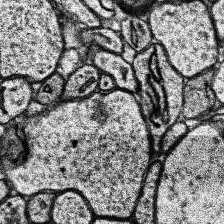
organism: Human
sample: Temporal Lobe